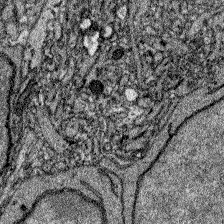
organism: Zebrafish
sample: Larval olfactory bulb